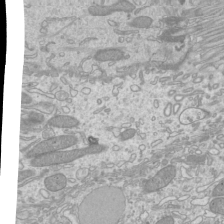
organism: Mouse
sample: Cilia; mouse epididymis